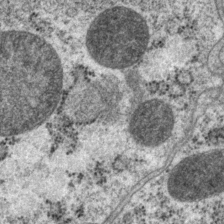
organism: P. pacificus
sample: Pharynx